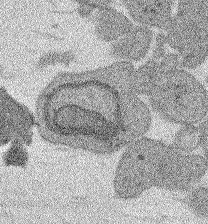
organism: Human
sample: HeLa cells